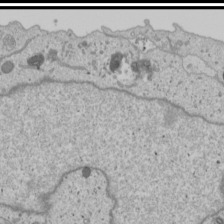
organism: Human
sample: Mitochondria in U2OS cells